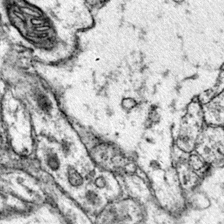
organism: Mouse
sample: Primary visual cortex